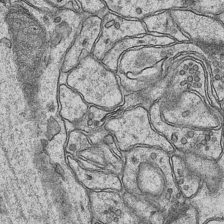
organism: Mouse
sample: CA1 Hippocampus